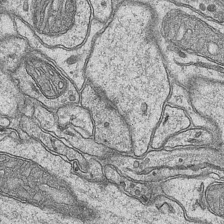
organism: Mouse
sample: CA1 Hippocampus